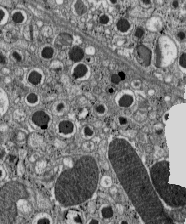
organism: C57BL Mouse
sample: Pancreatic islet